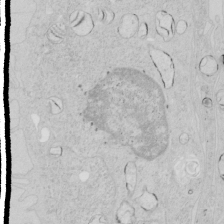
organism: Human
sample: Mitochondria in HCT116 cells